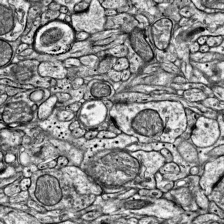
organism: Mouse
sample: Visual Cortex